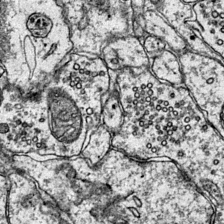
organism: Mouse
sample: Primary visual cortex